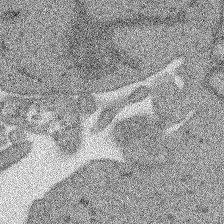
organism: Human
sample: HeLa cells